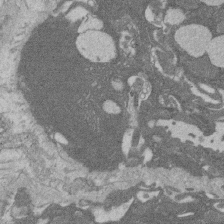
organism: Rat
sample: Salivary granule